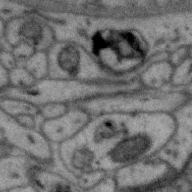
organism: Zebra finch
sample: Brain